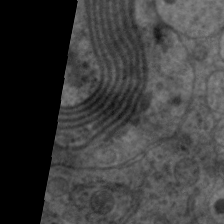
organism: C. elegans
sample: Pharynx